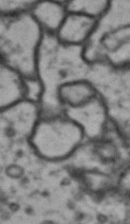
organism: Drosophila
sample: Brain